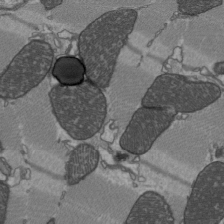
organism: C57BL Mouse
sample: Heart